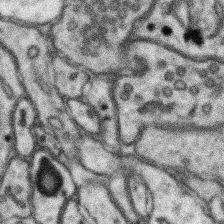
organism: Mouse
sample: Somatosensory cortex neuropil